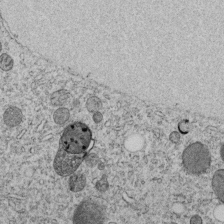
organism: C. elegans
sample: C. elegans embryo early stage